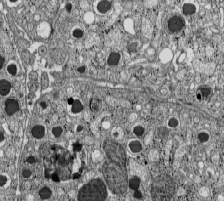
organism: C57BL Mouse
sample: Pancreatic islet